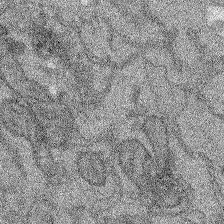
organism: Human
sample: HeLa cells